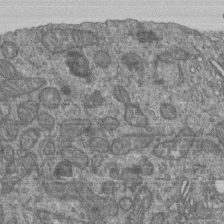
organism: Human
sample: Retinal organoid Rod and Cone cells